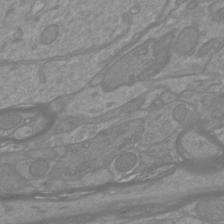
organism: Mouse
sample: Cortical neurons